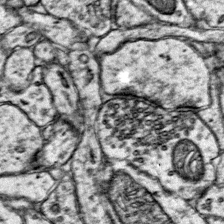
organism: Mouse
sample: Primary visual cortex